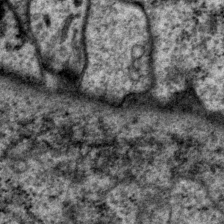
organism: P. pacificus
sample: Pharynx